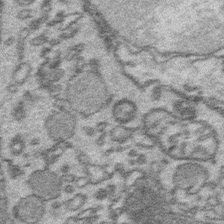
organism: Platynereis dumerilii